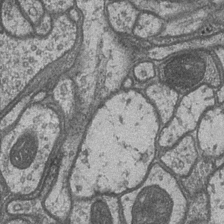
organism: Drosophila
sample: Optic medulla